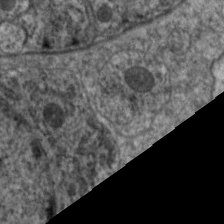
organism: C. elegans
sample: Pharynx